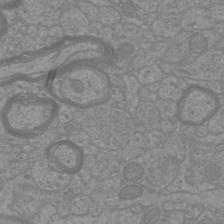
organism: Mouse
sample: Cortical neurons